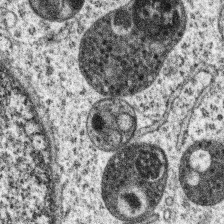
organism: Human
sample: HeLa cells